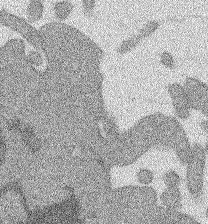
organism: Human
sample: HeLa cells